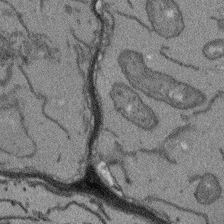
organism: Arabidopsis thaliana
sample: Root tip